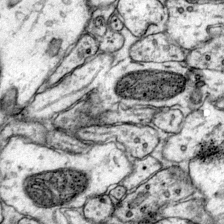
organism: Mouse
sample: Primary visual cortex